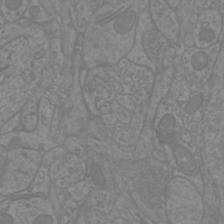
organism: Mouse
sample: Cortical neurons